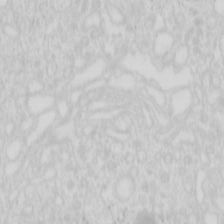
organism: Mouse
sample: Pancreas